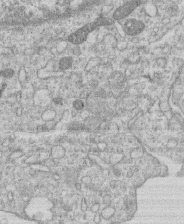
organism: Human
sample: Macrophage cells